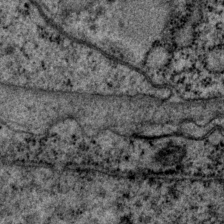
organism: P. pacificus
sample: Pharynx